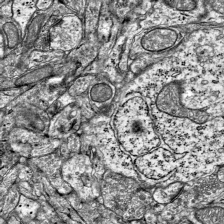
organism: Mouse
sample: Visual Cortex